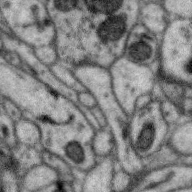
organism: Zebra finch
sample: Brain